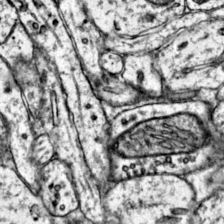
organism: Mouse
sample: Primary visual cortex